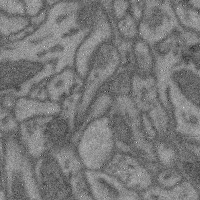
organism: Mouse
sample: Cerebral cortex